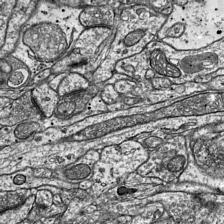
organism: Mouse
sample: Visual Cortex